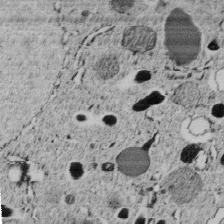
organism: C. elegans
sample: C. elegans embryo early stage